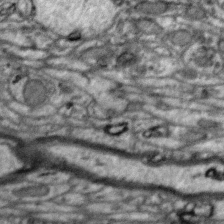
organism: Zebra finch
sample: Brain